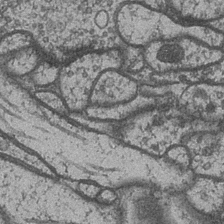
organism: Drosophila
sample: Optic medulla